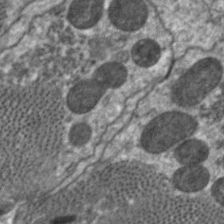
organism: C. elegans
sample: Pharynx